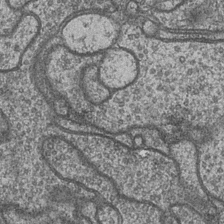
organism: Drosophila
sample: Optic medulla